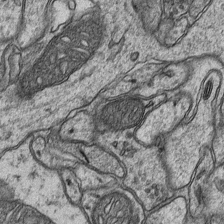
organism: Mouse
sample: CA1 Hippocampus